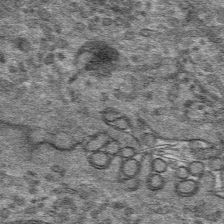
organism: Mouse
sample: Mouse hepatocytes